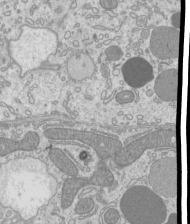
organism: Mouse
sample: Cilia; mouse epididymis